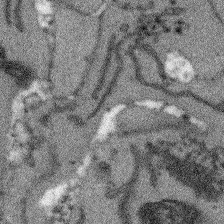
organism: Arabidopsis thaliana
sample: Root tip